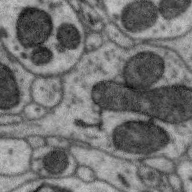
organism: Zebra finch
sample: Brain